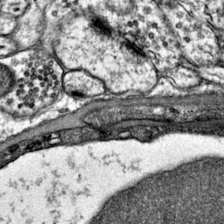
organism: Mouse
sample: Primary visual cortex